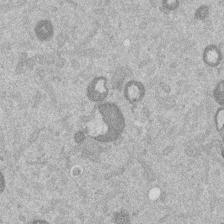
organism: Mouse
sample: Dividing mouse embryo 1 cell stage